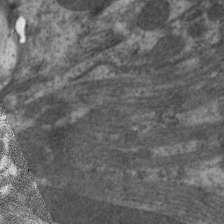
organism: C. elegans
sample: Pharynx